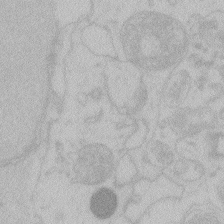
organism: Zebrafish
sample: Macrophage infected with Toxoplasma gondii